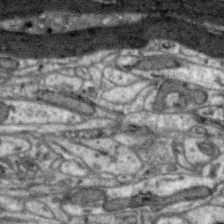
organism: Zebra finch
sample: Brain